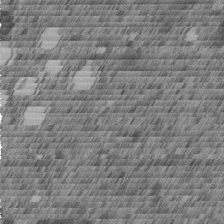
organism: C. elegans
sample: C. elegans embryo early stage